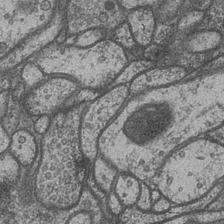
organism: Drosophila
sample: Optic medulla